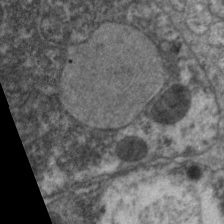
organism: C. elegans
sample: Pharynx